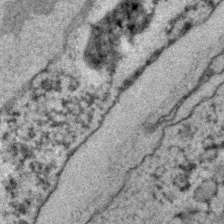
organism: C. elegans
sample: C. elegans embryo